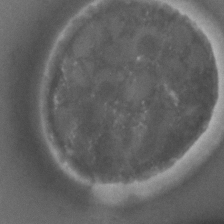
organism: C. elegans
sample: C. elegans embryo